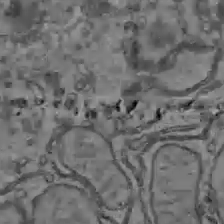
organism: C57BL Mouse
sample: Liver